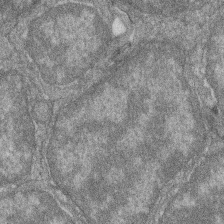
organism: Zebrafish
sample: Cilia; retinal pigment epithelium